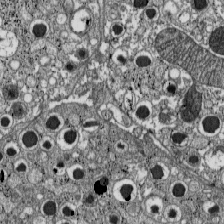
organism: C57BL Mouse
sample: Pancreatic islet